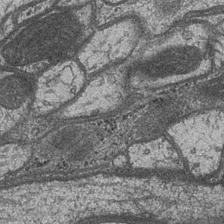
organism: Drosophila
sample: Optic medulla